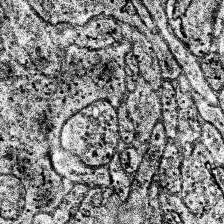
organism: Human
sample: Temporal Lobe